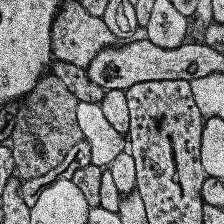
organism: Human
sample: Temporal Lobe